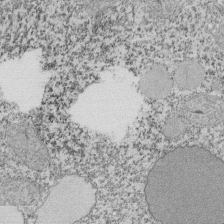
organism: Tetrahymena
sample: Cilia in tetrahymena